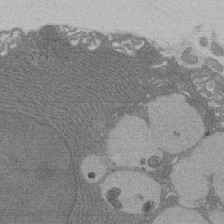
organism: Rat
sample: Salivary granule